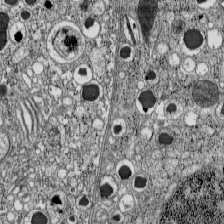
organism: C57BL Mouse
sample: Pancreatic islet